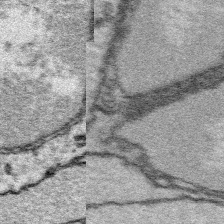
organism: Platynereis dumerilii